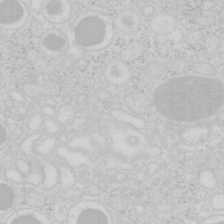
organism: Mouse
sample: Pancreas